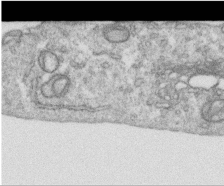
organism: Human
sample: Centriole in RPE cells